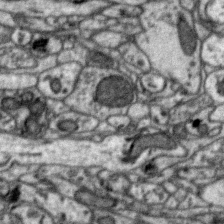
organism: Zebra finch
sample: Brain